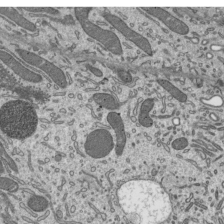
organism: Mouse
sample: Mouse epididymis efferent ductule cilia